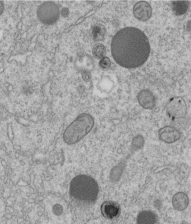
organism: C. elegans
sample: C. elegans embryo early stage